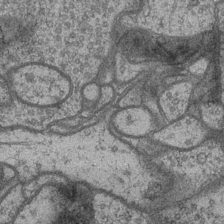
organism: Drosophila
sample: Optic medulla